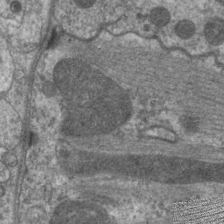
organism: C. elegans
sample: Pharynx